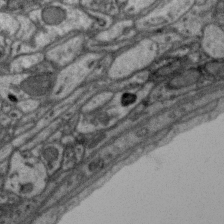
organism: Zebra finch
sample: Brain